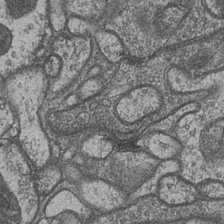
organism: Drosophila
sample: Optic medulla